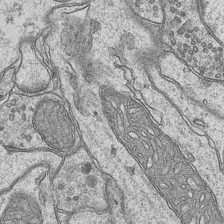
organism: Mouse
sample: CA1 Hippocampus